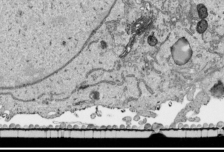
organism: Human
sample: Mitochondria in HCT116 cells